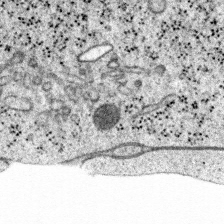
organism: Human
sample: HeLa cells